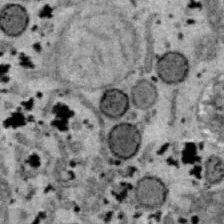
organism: Mouse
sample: Liver from an obese (ob/ob) mouse